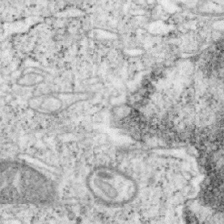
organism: Mouse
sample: OT-I killer T cells with ID8 ovarian cancer cells